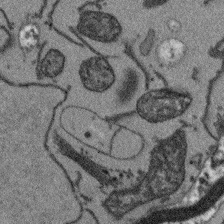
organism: Arabidopsis thaliana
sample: Root tip